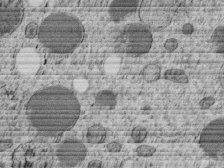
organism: C. elegans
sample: C. elegans embryo early stage